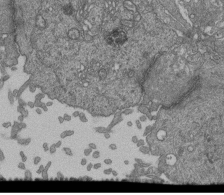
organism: Human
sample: Retinal organoid Rod and Cone cells